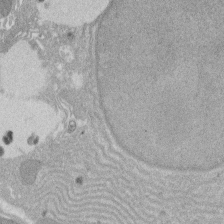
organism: Rat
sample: Salivary granule